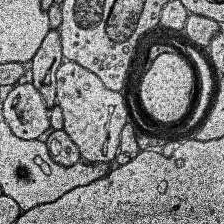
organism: Human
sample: Temporal Lobe